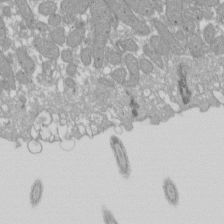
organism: Xenopus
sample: Cilia; centrioles in frog embryo cells